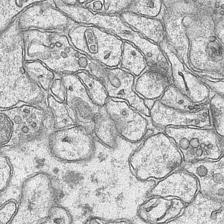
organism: Mouse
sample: CA1 Hippocampus